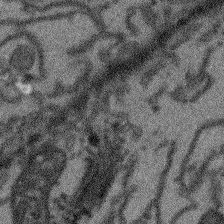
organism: Arabidopsis thaliana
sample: Root tip